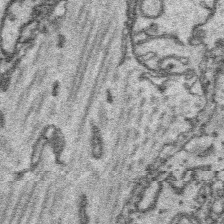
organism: Platynereis dumerilii